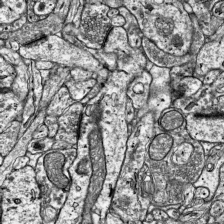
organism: Mouse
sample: Visual Cortex